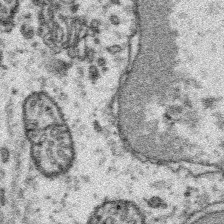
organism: Platynereis dumerilii